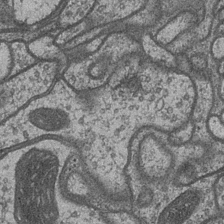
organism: Drosophila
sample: Optic medulla